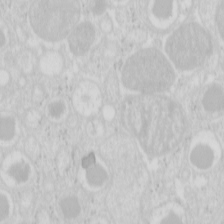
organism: Mouse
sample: Pancreas